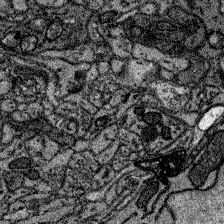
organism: Zebrafish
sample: Larval olfactory bulb